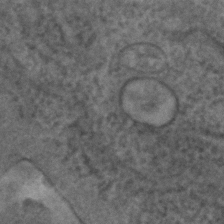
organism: C. elegans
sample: C. elegans embryo